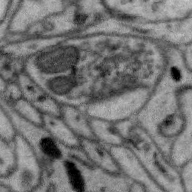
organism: Zebra finch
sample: Brain